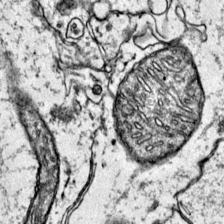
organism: Mouse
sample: Primary visual cortex